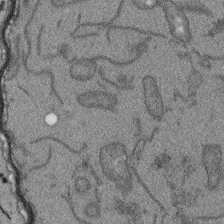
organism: Arabidopsis thaliana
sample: Root tip